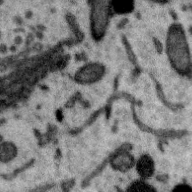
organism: Zebra finch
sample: Brain